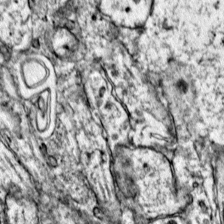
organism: Mouse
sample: Primary visual cortex